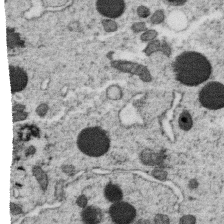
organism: C. elegans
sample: C. elegans oocyte; sperm cells